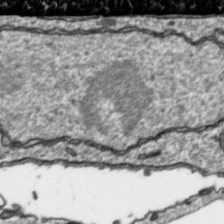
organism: Toxoplasma gondii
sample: Parasites in a vacuole inside a host cell